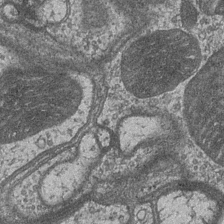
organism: Drosophila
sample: Optic medulla